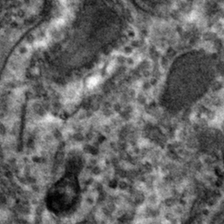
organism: Mouse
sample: Mouse hepatocytes